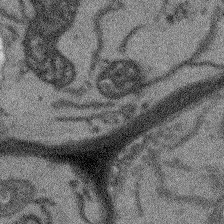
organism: Arabidopsis thaliana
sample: Root tip